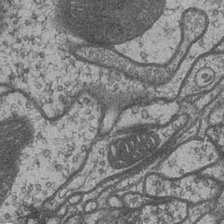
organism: Drosophila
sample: Optic medulla